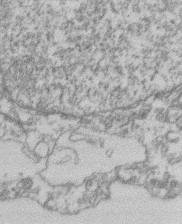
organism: Mouse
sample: T cell stromal cell synapse